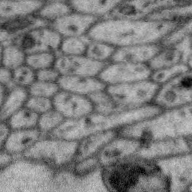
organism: Zebra finch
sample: Brain